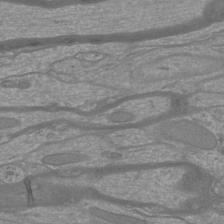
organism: Mouse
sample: Cortical neurons